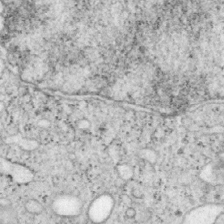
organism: Mouse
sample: OT-I killer T cells with ID8 ovarian cancer cells